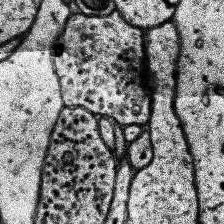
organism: Human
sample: Temporal Lobe